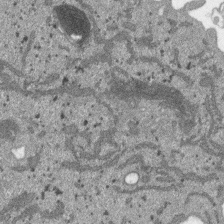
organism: Human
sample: Lung epithelial cells infected with SARS-CoV-2